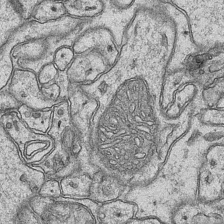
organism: Mouse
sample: CA1 Hippocampus